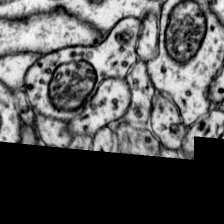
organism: Mouse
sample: Primary visual cortex